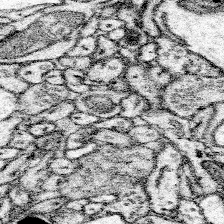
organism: Mouse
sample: Somatosensory cortex neuropil